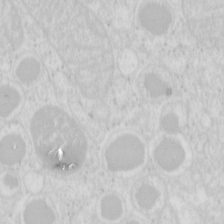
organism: Mouse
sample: Pancreas